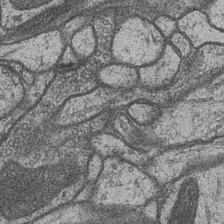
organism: Drosophila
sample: Optic medulla